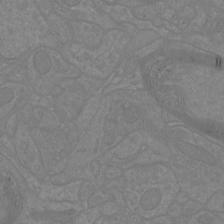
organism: Mouse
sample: Cortical neurons